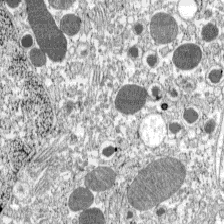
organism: C57BL Mouse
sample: Pancreatic islet